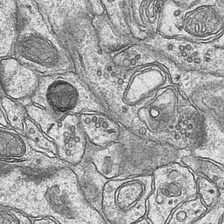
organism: Mouse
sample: CA1 Hippocampus